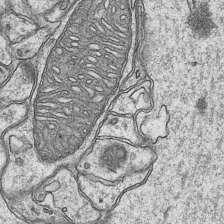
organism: Mouse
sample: CA1 Hippocampus